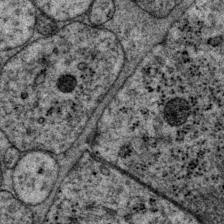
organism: P. pacificus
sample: Pharynx